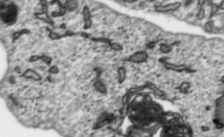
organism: Toxoplasma gondii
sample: Parasites in a vacuole inside a host cell